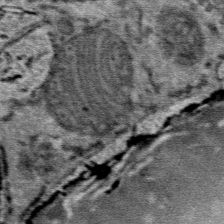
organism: Mouse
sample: Mouse Salivary gland